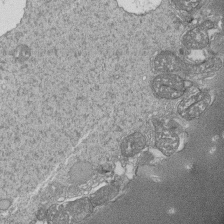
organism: Tetrahymena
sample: Cilia in tetrahymena